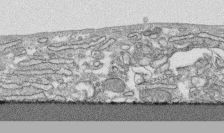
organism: Human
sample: CRL-1474